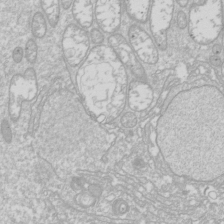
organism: Drosophila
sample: Cell division; meiosis; drosophila spermatocytes